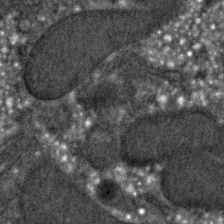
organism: C. elegans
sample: C. elegans embryo